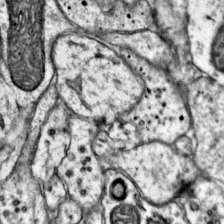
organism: Mouse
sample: Primary visual cortex